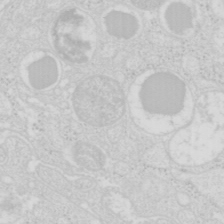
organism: Mouse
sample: Pancreas